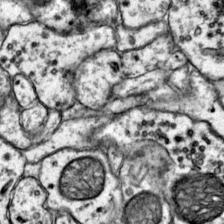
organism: Mouse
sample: Primary visual cortex